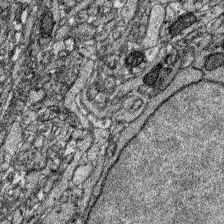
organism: Zebrafish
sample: Larval olfactory bulb